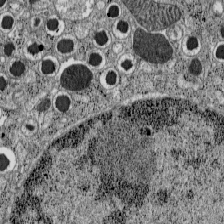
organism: C57BL Mouse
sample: Pancreatic islet